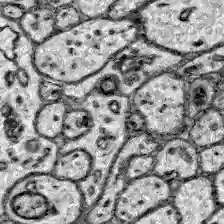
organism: Zebrafish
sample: Brain